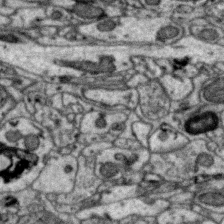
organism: Zebra finch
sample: Brain